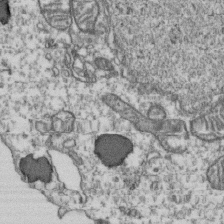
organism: Human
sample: Activated Jurkat CD4+ T cells